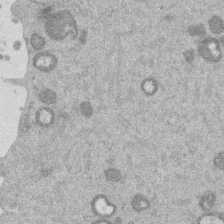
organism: Mouse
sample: Dividing mouse embryo 1 cell stage